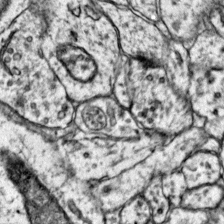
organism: Mouse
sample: Primary visual cortex